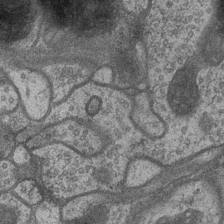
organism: Drosophila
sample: Optic medulla